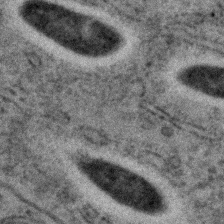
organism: C. elegans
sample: C. elegans embryo